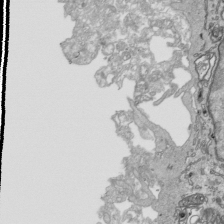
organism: Human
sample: Mitochondria in HCT116 cells